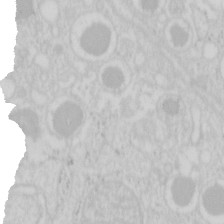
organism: Mouse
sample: Pancreas